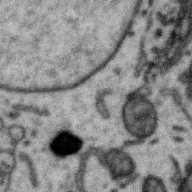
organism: Zebra finch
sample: Brain